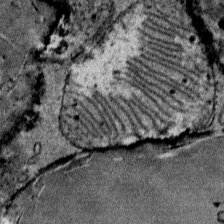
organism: Mouse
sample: Mouse Salivary gland